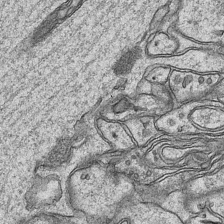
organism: Mouse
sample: CA1 Hippocampus